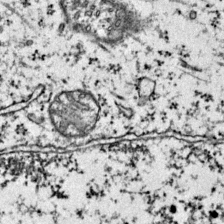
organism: Mouse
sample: Primary visual cortex